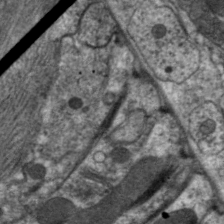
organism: C. elegans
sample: Pharynx